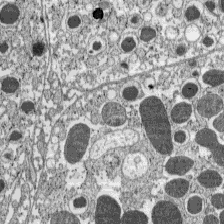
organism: C57BL Mouse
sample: Pancreatic islet